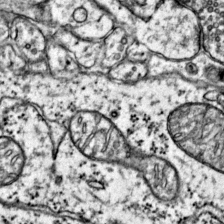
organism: Mouse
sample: Primary visual cortex